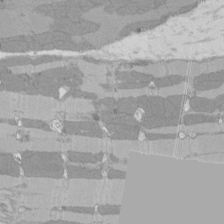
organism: Rat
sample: Left ventricle